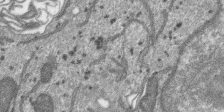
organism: Human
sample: Lung epithelial cells infected with SARS-CoV-2